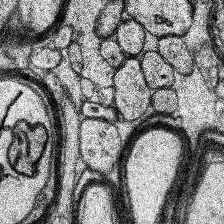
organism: Human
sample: Temporal Lobe